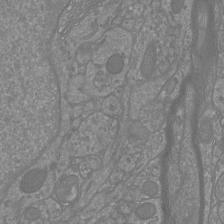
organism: Mouse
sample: Cortical neurons